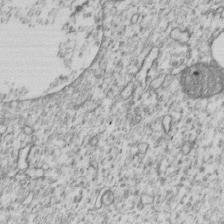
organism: Human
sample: MDA-MB-231 cells